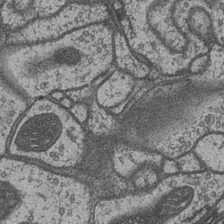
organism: Drosophila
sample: Optic medulla